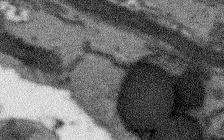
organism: Arabidopsis thaliana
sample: Root tip